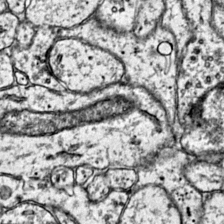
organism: Mouse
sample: Primary visual cortex